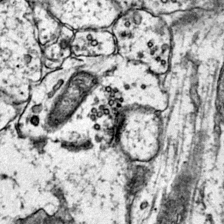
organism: Mouse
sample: Primary visual cortex